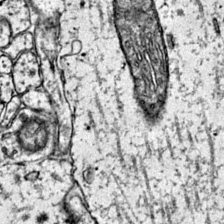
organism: Mouse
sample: Primary visual cortex